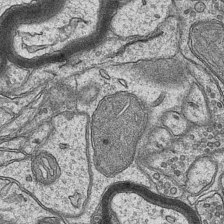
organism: Mouse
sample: CA1 Hippocampus